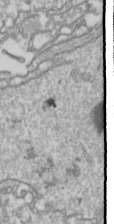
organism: Drosophila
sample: Cell division; meiosis; drosophila spermatocytes